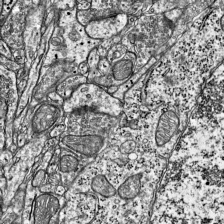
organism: Mouse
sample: Visual Cortex